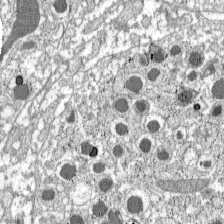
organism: C57BL Mouse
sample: Pancreatic islet